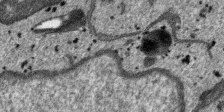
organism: Human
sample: Lung epithelial cells, uninfected (mock) control